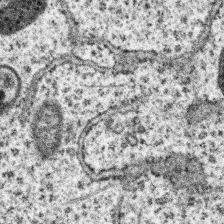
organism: Human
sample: HeLa cells